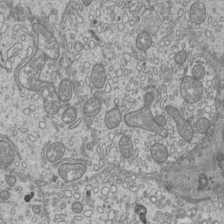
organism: Mouse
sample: Cilia; mouse epididymis